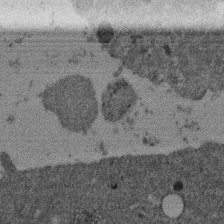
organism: Mouse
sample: Dividing mouse embryo 1 cell stage